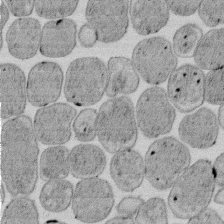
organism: E. coli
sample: Bacterial nucleoid